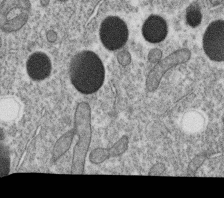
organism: C. elegans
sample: C. elegans oocyte; sperm cells